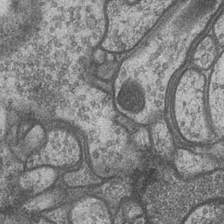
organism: Drosophila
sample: Optic medulla